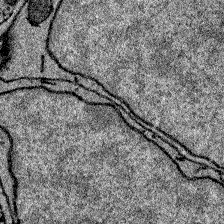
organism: Zebrafish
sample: Larval olfactory bulb